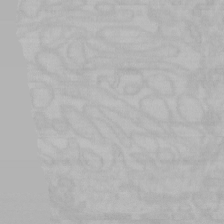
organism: Mouse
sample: Choroid plexus